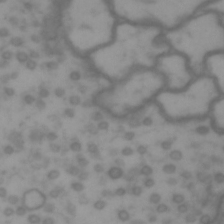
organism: Drosophila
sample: Brain